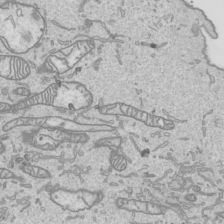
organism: Human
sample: Mitochondria in HCT116 cells